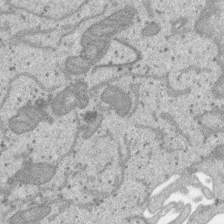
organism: Human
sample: Lung epithelial cells infected with SARS-CoV-2